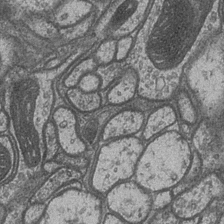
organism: Drosophila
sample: Optic medulla